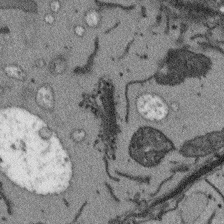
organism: Arabidopsis thaliana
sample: Root tip